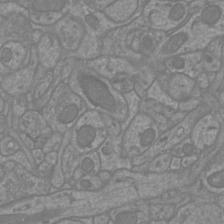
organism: Mouse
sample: Cortical neurons